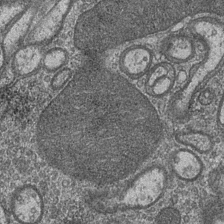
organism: Drosophila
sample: Optic medulla